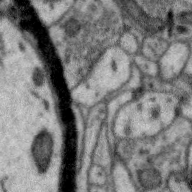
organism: Zebra finch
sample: Brain